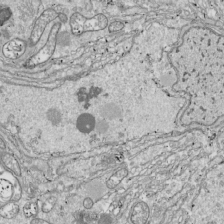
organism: Drosophila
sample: Cell division; meiosis; drosophila spermatocytes